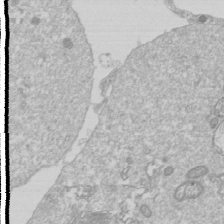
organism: Drosophila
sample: Cell division; meiosis; drosophila spermatocytes